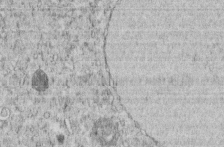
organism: C. elegans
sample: C. elegans embryo early stage